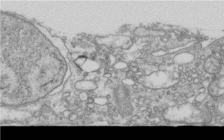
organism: Human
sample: Centriole in RPE cells